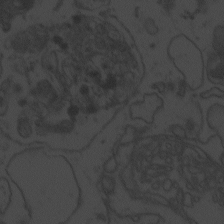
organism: Zebrafish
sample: Macrophage infected with Toxoplasma gondii